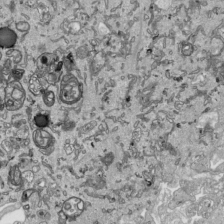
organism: Human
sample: Mitochondria in HCT116 cells